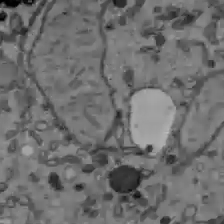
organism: C57BL Mouse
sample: Liver